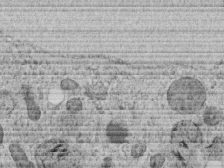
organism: C. elegans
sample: C. elegans embryo early stage